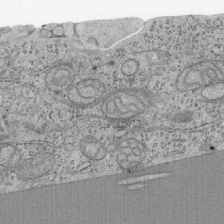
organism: Human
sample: HeLa cells